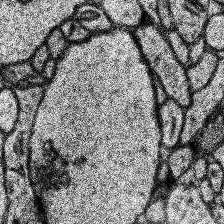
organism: Human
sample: Temporal Lobe